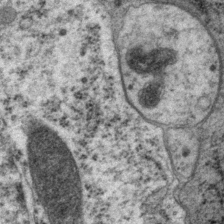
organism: P. pacificus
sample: Pharynx